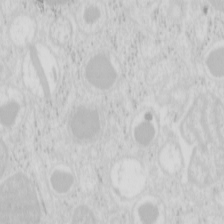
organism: Mouse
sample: Pancreas